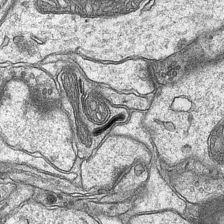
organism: Mouse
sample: CA1 Hippocampus